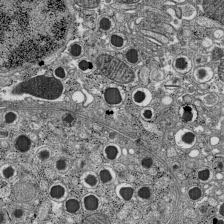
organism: C57BL Mouse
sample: Pancreatic islet